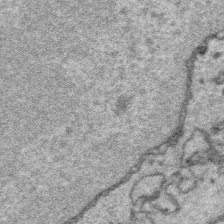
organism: Platynereis dumerilii